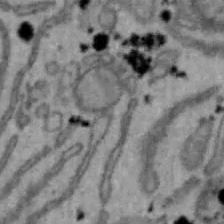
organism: Mouse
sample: Liver